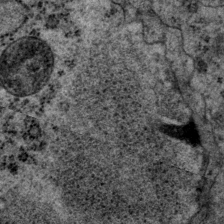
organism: P. pacificus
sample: Pharynx